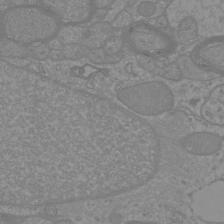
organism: Mouse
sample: Cortical neurons